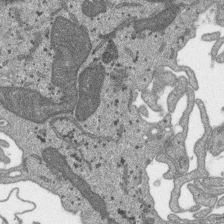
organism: Human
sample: Lung epithelial cells infected with SARS-CoV-2